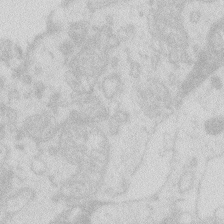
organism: Zebrafish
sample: Macrophage